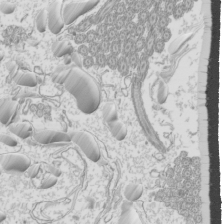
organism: Mouse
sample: Cilia; mouse epididymis